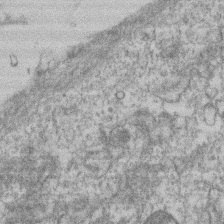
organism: Mouse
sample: T cell stromal cell synapse